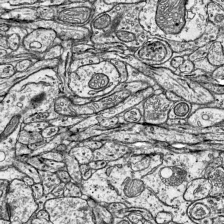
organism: Mouse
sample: Visual Cortex